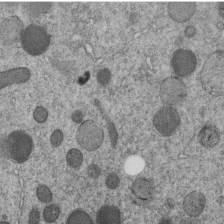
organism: C. elegans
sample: C. elegans embryo early stage